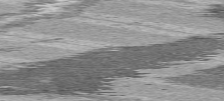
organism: C57BL Mouse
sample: Heart